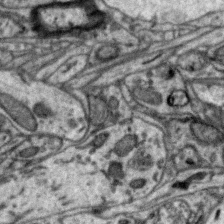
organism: Zebra finch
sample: Brain